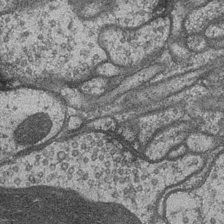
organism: Drosophila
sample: Optic medulla